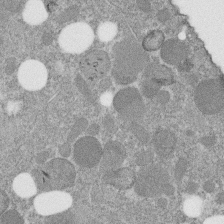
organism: C. elegans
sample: C. elegans embryo early stage